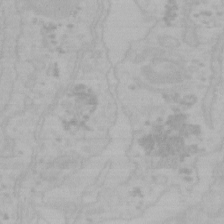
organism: Mouse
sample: Choroid plexus